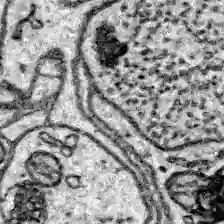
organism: Zebrafish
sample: Brain